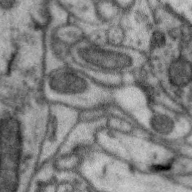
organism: Zebra finch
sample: Brain